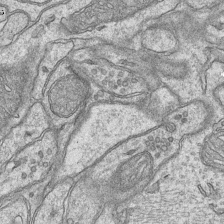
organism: Mouse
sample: CA1 Hippocampus